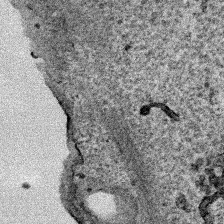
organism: Human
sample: Mitochondria in HCT116 cells